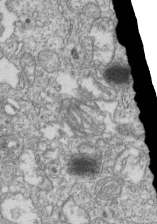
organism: Human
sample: HeLa cell HIV synapse